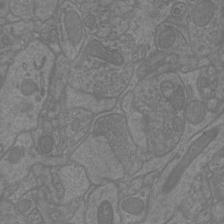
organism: Mouse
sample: Cortical neurons